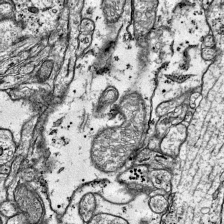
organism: Mouse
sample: Visual Cortex